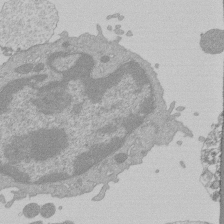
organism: Mouse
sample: Activated Pmel transgenic CD8+ T Cells